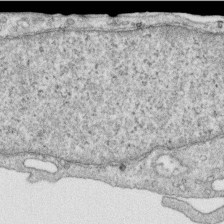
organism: Human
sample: Centriole in RPE cells